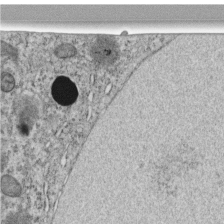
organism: C. elegans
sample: C. elegans embryo early stage